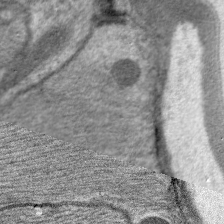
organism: C. elegans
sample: Pharynx